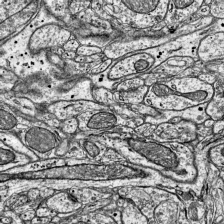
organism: Mouse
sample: Visual Cortex